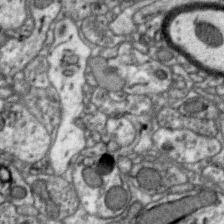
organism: Zebra finch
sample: Brain